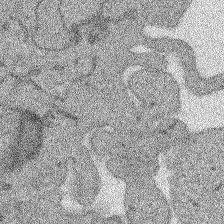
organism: Human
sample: HeLa cells